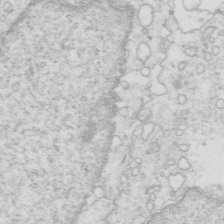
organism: Mouse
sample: Multiciliated cells